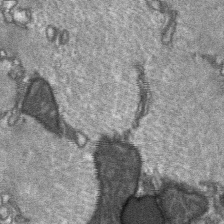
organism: C57BL Mouse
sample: Soleus